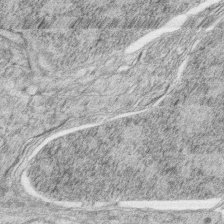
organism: Zebrafish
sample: synaptic ribbons in rod cells and cone cells